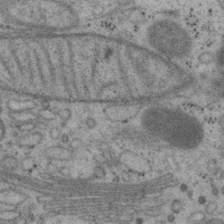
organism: Human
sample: HeLa cells